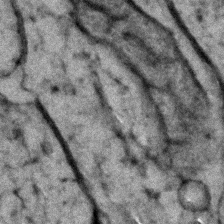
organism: Zebrafish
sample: Zebrafish embryo